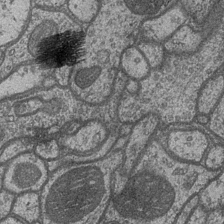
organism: Drosophila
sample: Optic medulla